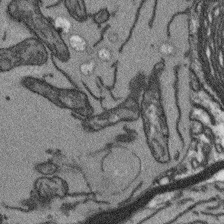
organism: Arabidopsis thaliana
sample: Root tip